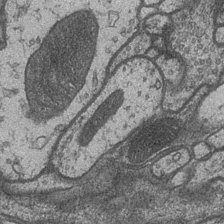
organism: Drosophila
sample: Optic medulla